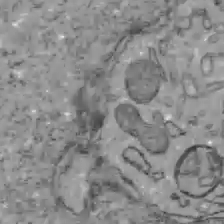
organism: C57BL Mouse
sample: Liver